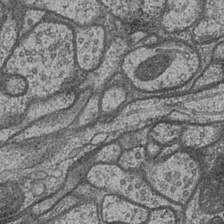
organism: Drosophila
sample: Optic medulla